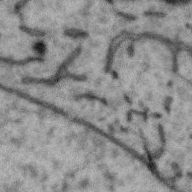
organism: Zebra finch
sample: Brain